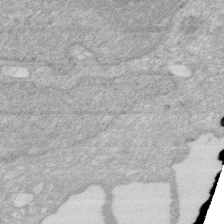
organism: Human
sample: HIV infected U937 cells